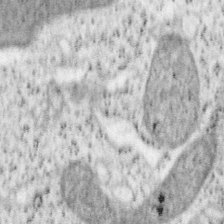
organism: Mouse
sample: OT-I killer T cells with ID8 ovarian cancer cells